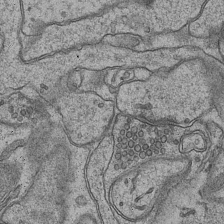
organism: Mouse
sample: CA1 Hippocampus